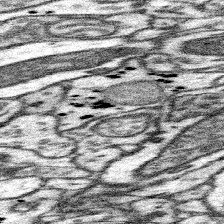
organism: Mouse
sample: Somatosensory cortex neuropil